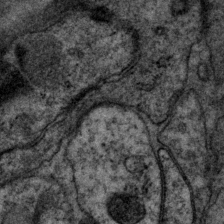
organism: P. pacificus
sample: Pharynx